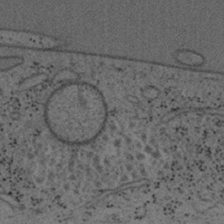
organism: Human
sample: HeLa cells